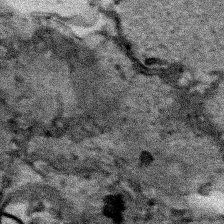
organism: Human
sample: Mitochondria in HCT116 cells